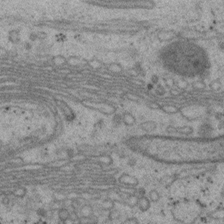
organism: Human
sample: HeLa cells